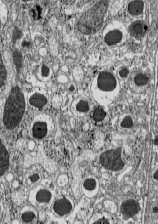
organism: C57BL Mouse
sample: Pancreatic islet